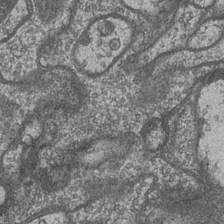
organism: Drosophila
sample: Optic medulla